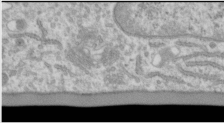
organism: Human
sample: Cilia; basal body in RPE cells